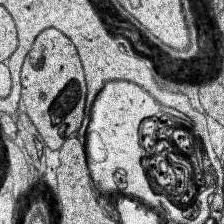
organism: Human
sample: Temporal Lobe